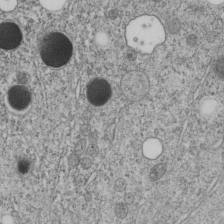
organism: C. elegans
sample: C. elegans embryo early stage